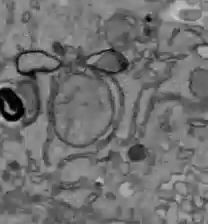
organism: C57BL Mouse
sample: Liver